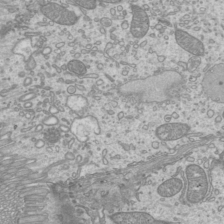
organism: Mouse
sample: Cilia; mouse epididymis